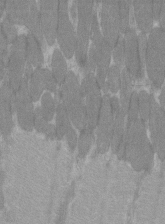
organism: C57BL Mouse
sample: Tibialis anterior muscle cell